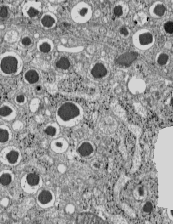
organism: C57BL Mouse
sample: Pancreatic islet